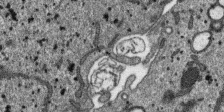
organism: Human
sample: Lung epithelial cells infected with SARS-CoV-2